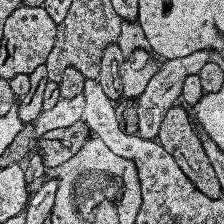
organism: Human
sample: Temporal Lobe